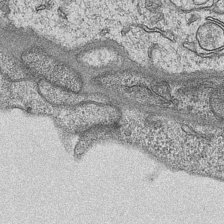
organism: Mouse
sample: CA1 Hippocampus